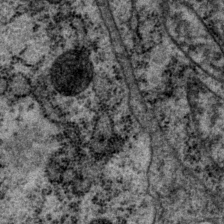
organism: P. pacificus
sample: Pharynx